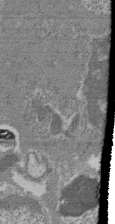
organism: Mouse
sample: Glomerulus